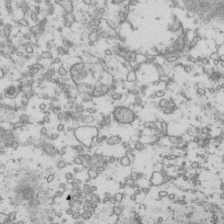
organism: Human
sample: Activated Jurkat CD4+ T cells